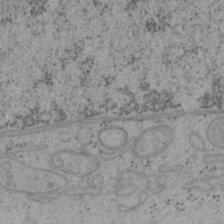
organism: Human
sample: HeLa cells